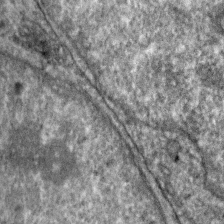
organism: Zebra finch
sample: Brain